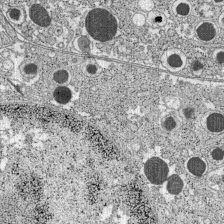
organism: C57BL Mouse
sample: Pancreatic islet